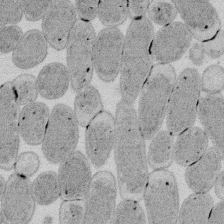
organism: E. coli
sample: Bacterial nucleoid